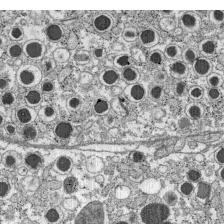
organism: C57BL Mouse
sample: Pancreatic islet